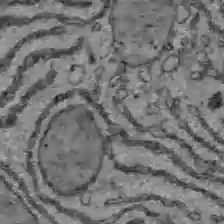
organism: C57BL Mouse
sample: Liver